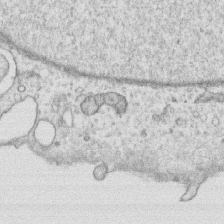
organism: Human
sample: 1205lu cells